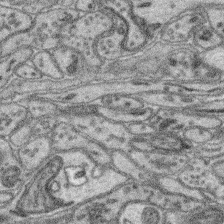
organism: Mouse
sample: Retina